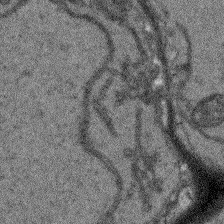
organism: Arabidopsis thaliana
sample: Root tip